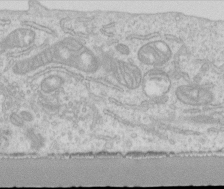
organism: Human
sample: Centriole in RPE cells